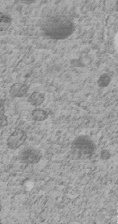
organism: C. elegans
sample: C. elegans embryo early stage